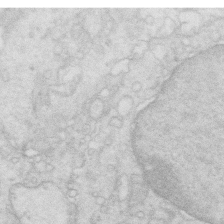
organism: Mouse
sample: Multiciliated cells